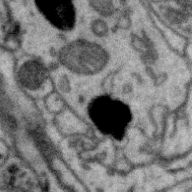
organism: Zebra finch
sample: Brain